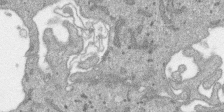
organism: Human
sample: Lung epithelial cells infected with SARS-CoV-2